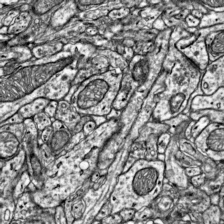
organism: Mouse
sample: Visual Cortex